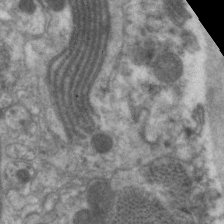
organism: C. elegans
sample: Pharynx